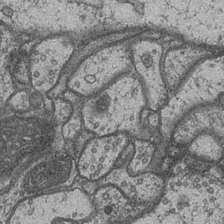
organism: Drosophila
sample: Optic medulla